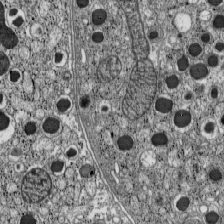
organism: C57BL Mouse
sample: Pancreatic islet